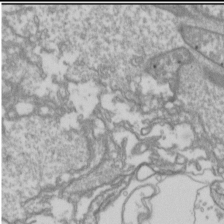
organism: Drosophila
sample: Cell division; meiosis; drosophila spermatocytes